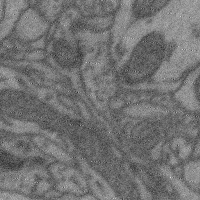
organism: Mouse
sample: Cerebral cortex